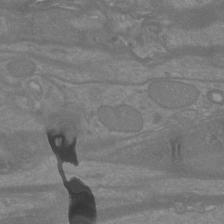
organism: Mouse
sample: Cortical neurons